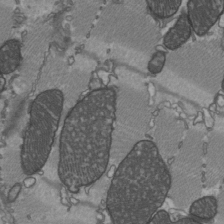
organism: C57BL Mouse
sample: Heart